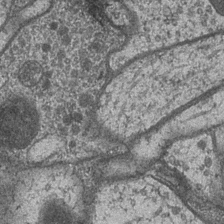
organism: Drosophila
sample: Optic medulla